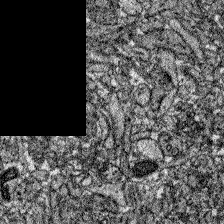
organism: Zebrafish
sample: Larval olfactory bulb